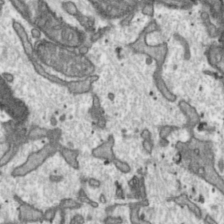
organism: Toxoplasma gondii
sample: Parasites in a vacuole inside a host cell